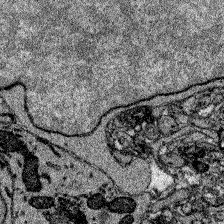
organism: Zebrafish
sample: Larval olfactory bulb